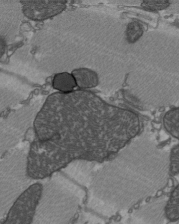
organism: C57BL Mouse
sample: Heart